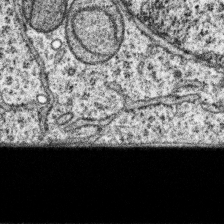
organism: Human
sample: HeLa cells